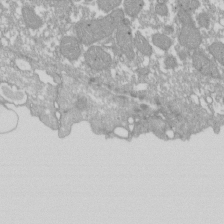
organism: Xenopus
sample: Cilia; centrioles in frog embryo cells